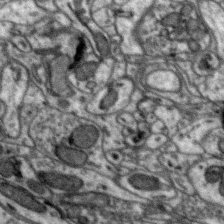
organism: Zebra finch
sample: Brain